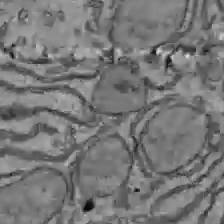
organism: C57BL Mouse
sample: Liver